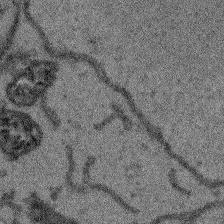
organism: Arabidopsis thaliana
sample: Root tip